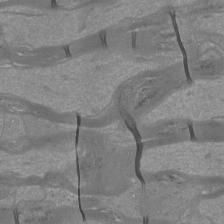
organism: Mouse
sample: Cortical neurons